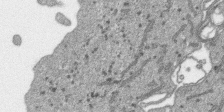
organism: Human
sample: Lung epithelial cells infected with SARS-CoV-2